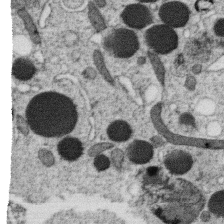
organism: C. elegans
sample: C. elegans oocyte; sperm cells